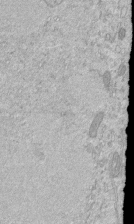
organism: Mouse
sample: ED-1 cell nuclei; centrioles